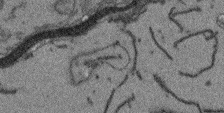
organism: Arabidopsis thaliana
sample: Root tip